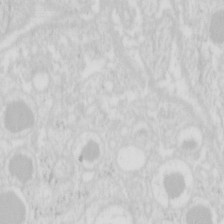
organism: Mouse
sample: Pancreas